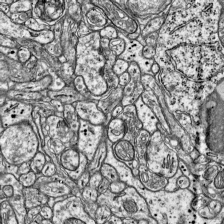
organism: Mouse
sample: Visual Cortex